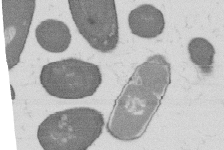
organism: B. subtilis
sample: Bacterial spore